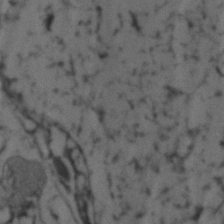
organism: Zebrafish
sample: Zebrafish embryo